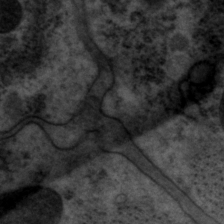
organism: P. pacificus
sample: Pharynx